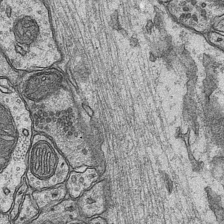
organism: Mouse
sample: CA1 Hippocampus